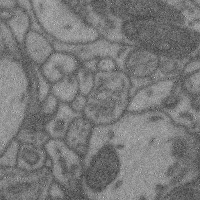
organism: Mouse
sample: Cerebral cortex